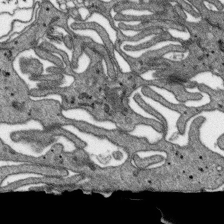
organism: Human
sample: Lung epithelial cells, uninfected (mock) control